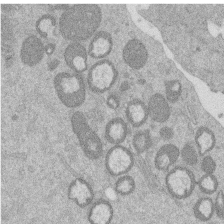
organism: Mouse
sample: Dividing mouse embryo 1 cell stage